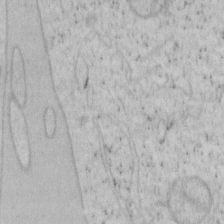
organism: Human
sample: HeLa cells